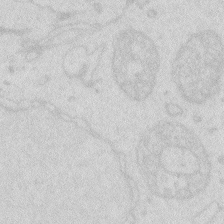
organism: Zebrafish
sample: Macrophage